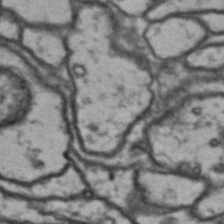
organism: Drosophila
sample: Brain